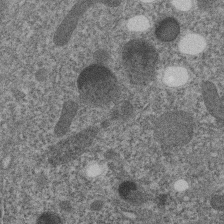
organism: C. elegans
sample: C. elegans embryo early stage